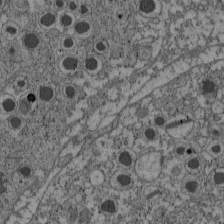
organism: C57BL Mouse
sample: Pancreatic islet